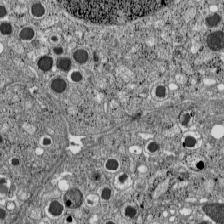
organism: C57BL Mouse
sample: Pancreatic islet